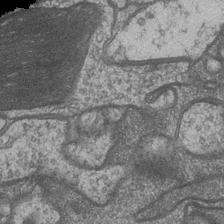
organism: Drosophila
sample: Optic medulla